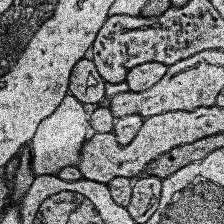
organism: Human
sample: Temporal Lobe